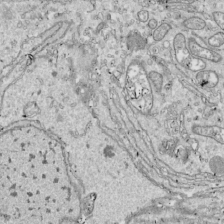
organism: Drosophila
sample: Cell division; meiosis; drosophila spermatocytes